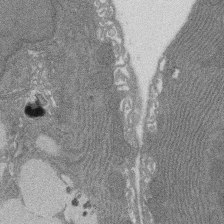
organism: Rat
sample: Salivary granule